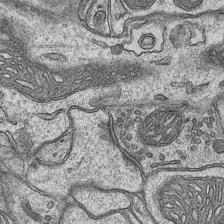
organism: Mouse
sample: CA1 Hippocampus